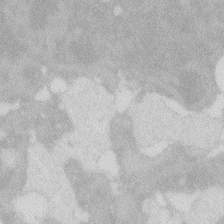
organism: Zebrafish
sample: Macrophage